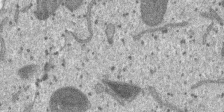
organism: Human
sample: Lung epithelial cells infected with SARS-CoV-2